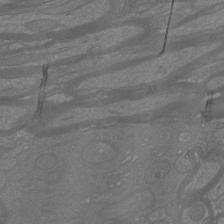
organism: Mouse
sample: Cortical neurons